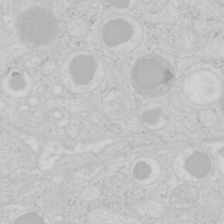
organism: Mouse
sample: Pancreas